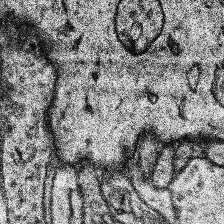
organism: Human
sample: Temporal Lobe